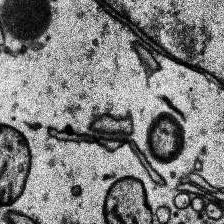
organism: Human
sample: Temporal Lobe